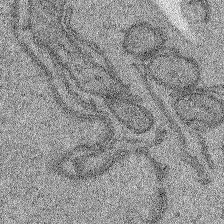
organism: Human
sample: HeLa cells